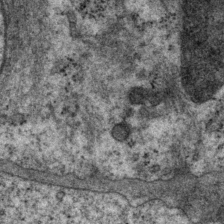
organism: P. pacificus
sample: Pharynx